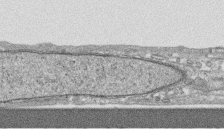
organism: Human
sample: CRL-1474